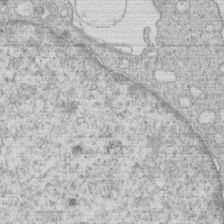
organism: Human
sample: Macrophage cells